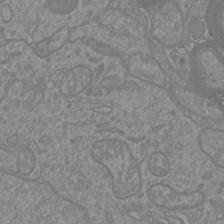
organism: Mouse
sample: Cortical neurons